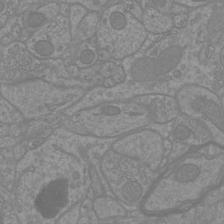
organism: Mouse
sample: Cortical neurons